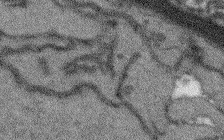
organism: Arabidopsis thaliana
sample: Root tip